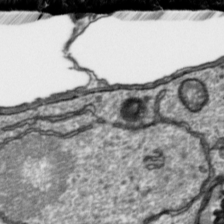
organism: Toxoplasma gondii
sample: Parasites in a vacuole inside a host cell